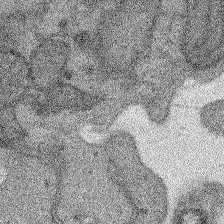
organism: Human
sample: HeLa cells